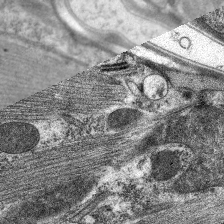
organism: C. elegans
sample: Pharynx